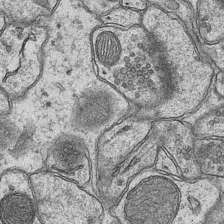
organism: Mouse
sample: CA1 Hippocampus